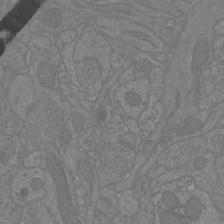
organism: Mouse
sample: Cortical neurons